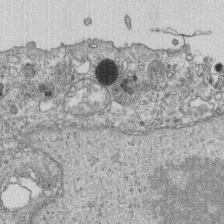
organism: Human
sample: HeLa cell HIV synapse